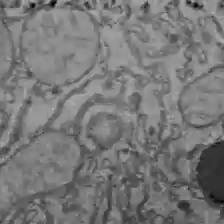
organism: C57BL Mouse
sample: Liver